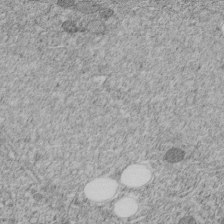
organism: C. elegans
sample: C. elegans embryo early stage